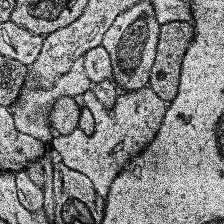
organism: Human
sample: Temporal Lobe